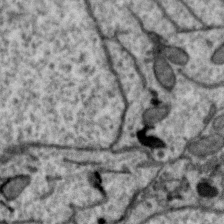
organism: Zebra finch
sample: Brain